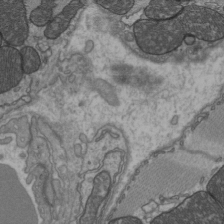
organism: C57BL Mouse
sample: Heart